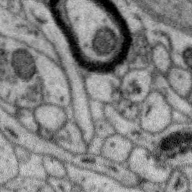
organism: Zebra finch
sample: Brain